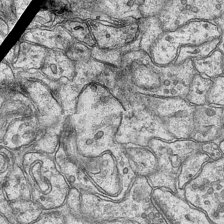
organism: Mouse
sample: CA1 Hippocampus